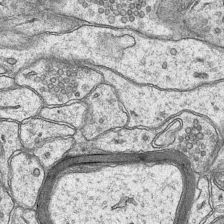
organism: Mouse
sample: CA1 Hippocampus